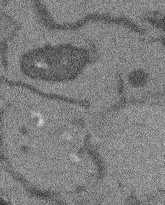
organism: Arabidopsis thaliana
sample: Root tip